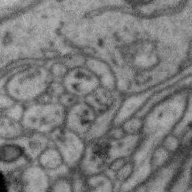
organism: Zebra finch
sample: Brain